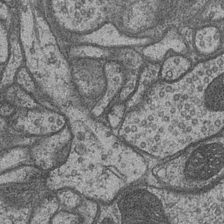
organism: Drosophila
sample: Optic medulla